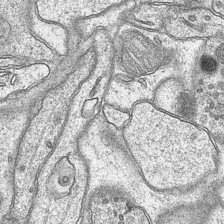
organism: Mouse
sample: CA1 Hippocampus